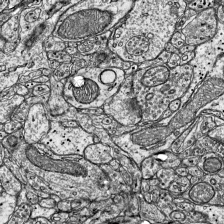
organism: Mouse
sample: Visual Cortex